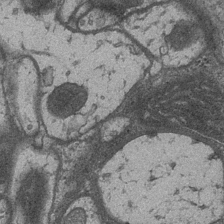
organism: Drosophila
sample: Optic medulla